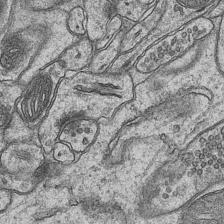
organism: Mouse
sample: CA1 Hippocampus